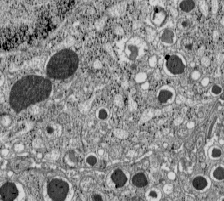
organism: C57BL Mouse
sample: Pancreatic islet